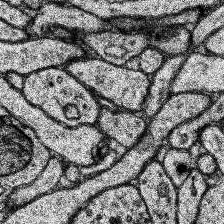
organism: Human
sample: Temporal Lobe